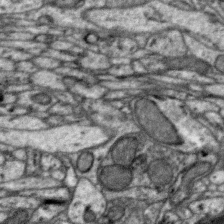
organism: Zebra finch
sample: Brain